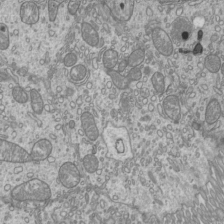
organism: Mouse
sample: Cilia; mouse epididymis